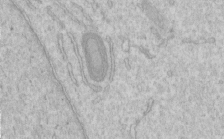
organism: Human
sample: Centriole in RPE cells